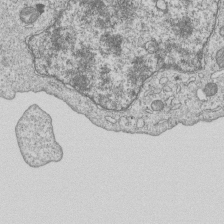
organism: Human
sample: MDA-MB-231 cells